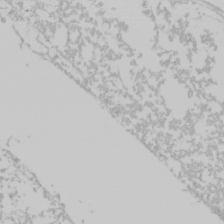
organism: Mouse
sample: Cancer cell death in ED-1 cells